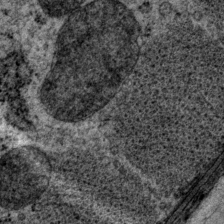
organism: P. pacificus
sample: Pharynx